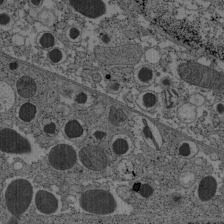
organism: C57BL Mouse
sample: Pancreatic islet